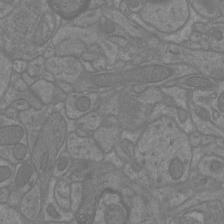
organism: Mouse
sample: Cortical neurons